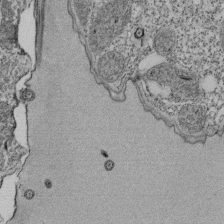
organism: Tetrahymena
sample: Cilia in tetrahymena